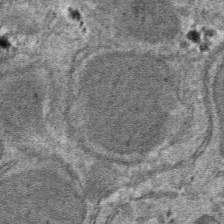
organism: Mouse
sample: Mouse hepatocytes